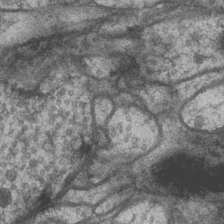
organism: Drosophila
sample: Optic medulla